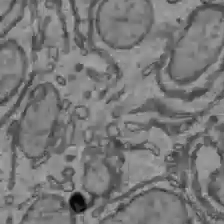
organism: C57BL Mouse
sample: Liver